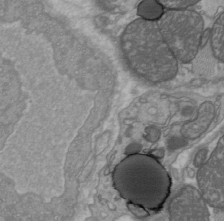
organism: C57BL Mouse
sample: Heart